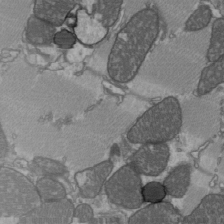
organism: C57BL Mouse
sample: Heart